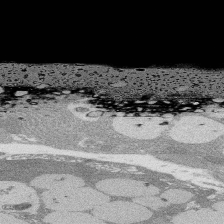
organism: Rat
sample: Salivary granule